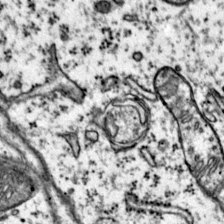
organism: Mouse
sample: Primary visual cortex